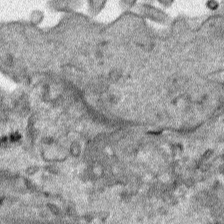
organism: Human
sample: Mitochondria in HCT116 cells